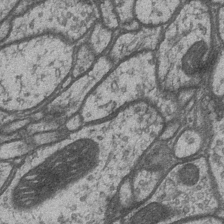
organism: Drosophila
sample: Optic medulla